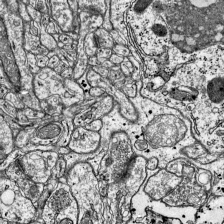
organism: Mouse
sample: Visual Cortex